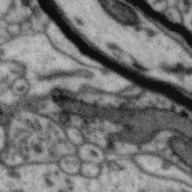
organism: Zebra finch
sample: Brain